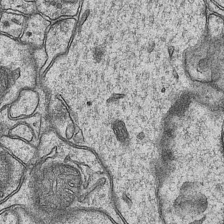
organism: Mouse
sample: CA1 Hippocampus